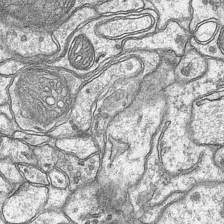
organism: Mouse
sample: CA1 Hippocampus